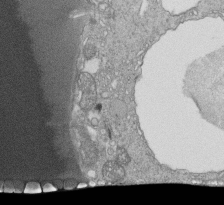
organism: Tetrahymena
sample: Cilia in tetrahymena